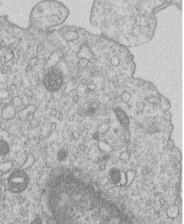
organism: Human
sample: Macrophage cells